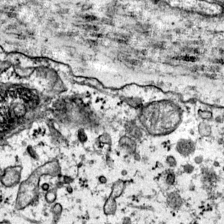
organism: Mouse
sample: Primary visual cortex